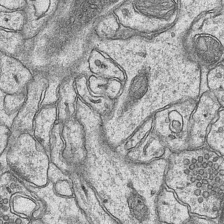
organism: Mouse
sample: CA1 Hippocampus